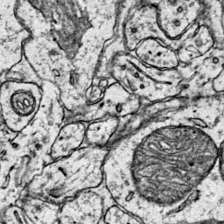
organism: Mouse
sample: Primary visual cortex